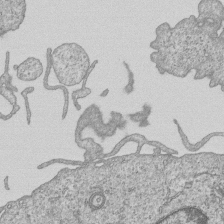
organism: Human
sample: MDA-MB-231 cells